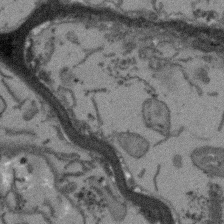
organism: Arabidopsis thaliana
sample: Root tip